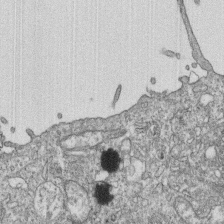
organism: Human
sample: HeLa cell HIV synapse